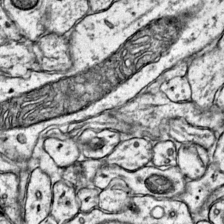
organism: Mouse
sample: Primary visual cortex